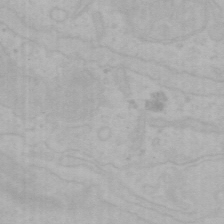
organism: Mouse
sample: Choroid plexus